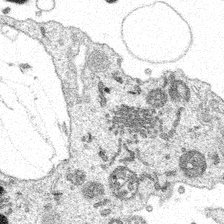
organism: Spongilla lacustris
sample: Multiple